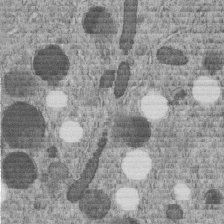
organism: C. elegans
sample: C. elegans embryo early stage